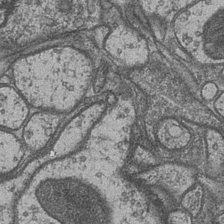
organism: Drosophila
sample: Optic medulla